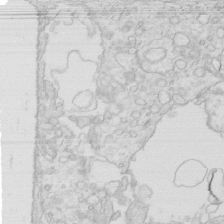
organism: Mouse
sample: Multiciliated cells